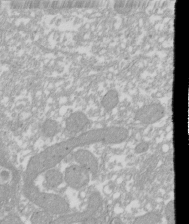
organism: Xenopus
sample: Cilia; centrioles in frog embryo cells